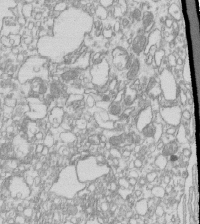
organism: Mouse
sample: Macrophages